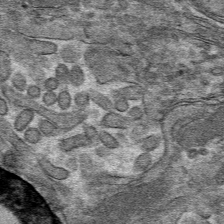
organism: Mouse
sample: Mouse hepatocytes